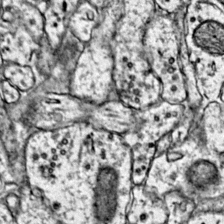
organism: Mouse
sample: Primary visual cortex